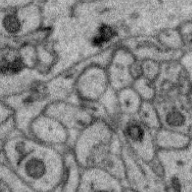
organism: Zebra finch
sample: Brain